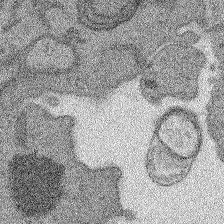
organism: Human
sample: HeLa cells